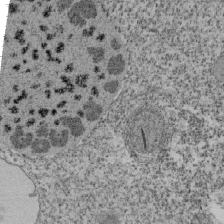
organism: Tetrahymena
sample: Cilia in tetrahymena